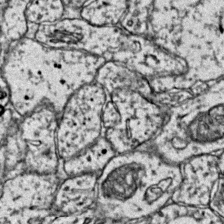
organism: Mouse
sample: Primary visual cortex